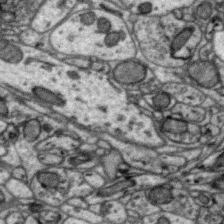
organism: Zebra finch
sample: Brain